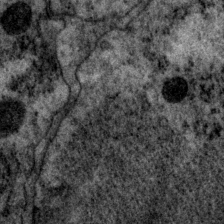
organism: P. pacificus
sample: Pharynx